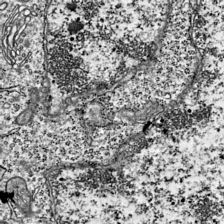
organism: Mouse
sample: Visual Cortex